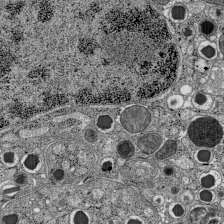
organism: C57BL Mouse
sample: Pancreatic islet